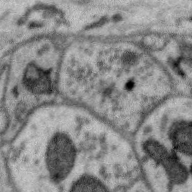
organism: Zebra finch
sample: Brain